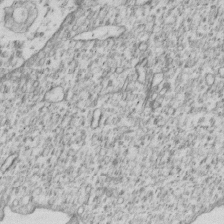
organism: Human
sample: MDA-MB-231 cells